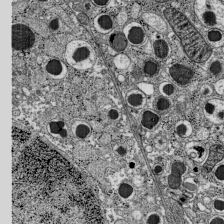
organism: C57BL Mouse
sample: Pancreatic islet